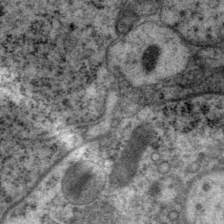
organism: P. pacificus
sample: Pharynx